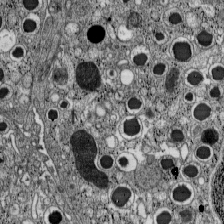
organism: C57BL Mouse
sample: Pancreatic islet